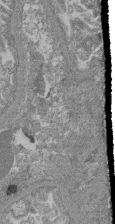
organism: Mouse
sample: Glomerulus